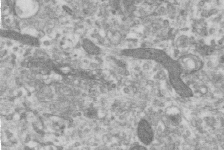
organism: Human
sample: Centriole in RPE cells